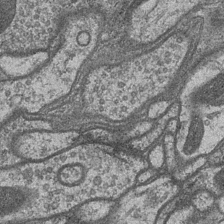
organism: Drosophila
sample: Optic medulla